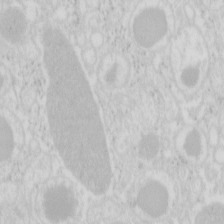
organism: Mouse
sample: Pancreas